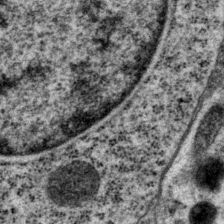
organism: P. pacificus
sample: Pharynx